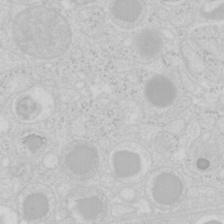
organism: Mouse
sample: Pancreas